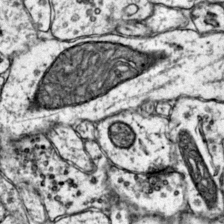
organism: Mouse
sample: Primary visual cortex